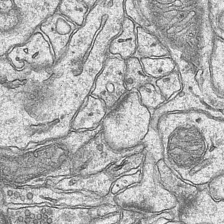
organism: Mouse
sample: CA1 Hippocampus